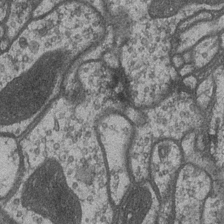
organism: Drosophila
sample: Optic medulla